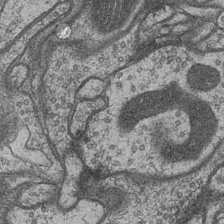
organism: Drosophila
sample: Optic medulla